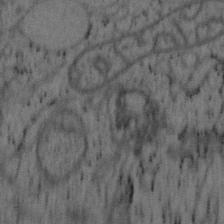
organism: Human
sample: HeLa cells